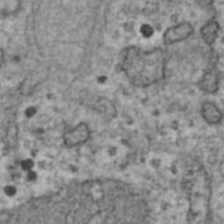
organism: Human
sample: Blood